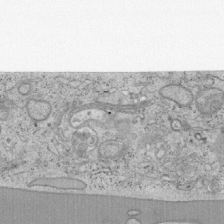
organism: Human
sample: HeLa cells